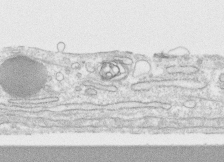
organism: Human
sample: CRL-1474